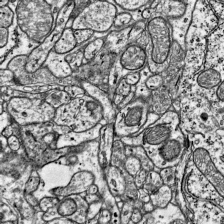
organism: Mouse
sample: Visual Cortex